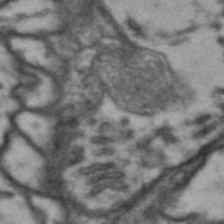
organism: Drosophila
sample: Brain